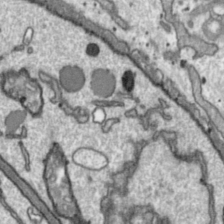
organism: Toxoplasma gondii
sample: Parasites in a vacuole inside a host cell